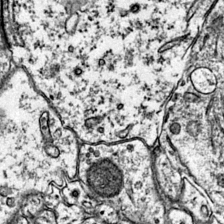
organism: Mouse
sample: Primary visual cortex